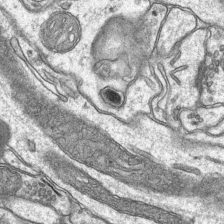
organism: Mouse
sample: CA1 Hippocampus